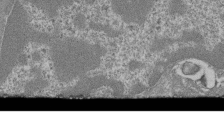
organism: Mouse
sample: Glomerulus